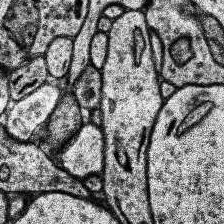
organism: Human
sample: Temporal Lobe